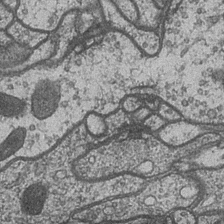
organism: Drosophila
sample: Optic medulla